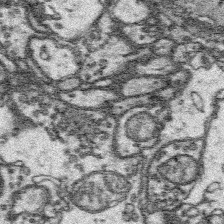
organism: Platynereis dumerilii